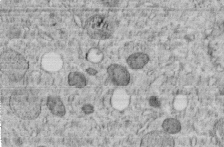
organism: C. elegans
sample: C. elegans embryo early stage